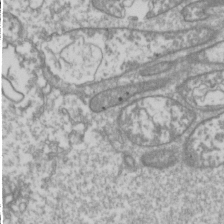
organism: Drosophila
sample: Cell division; meiosis; drosophila spermatocytes